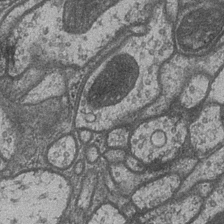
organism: Drosophila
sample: Optic medulla